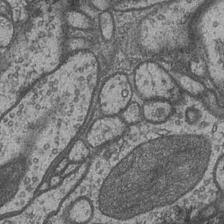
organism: Drosophila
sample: Optic medulla